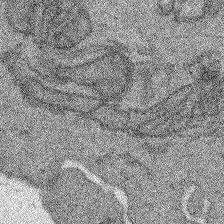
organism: Human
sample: HeLa cells